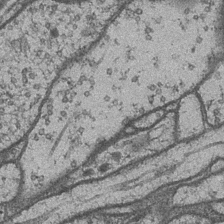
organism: Drosophila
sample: Optic medulla